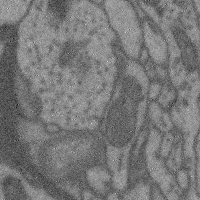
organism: Mouse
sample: Cerebral cortex